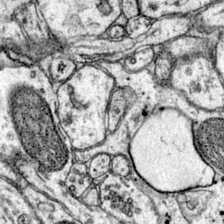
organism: Mouse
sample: Primary visual cortex